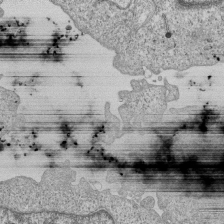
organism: Human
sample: MDA-MB-231 cells